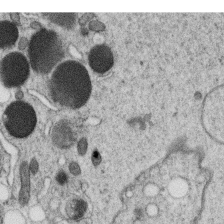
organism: C. elegans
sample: C. elegans oocyte; sperm cells